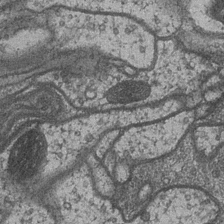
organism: Drosophila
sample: Optic medulla